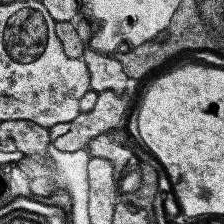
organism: Human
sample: Temporal Lobe